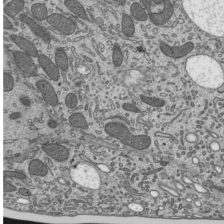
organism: Mouse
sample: Mouse epididymis efferent ductule cilia